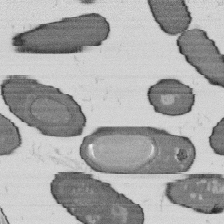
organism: B. subtilis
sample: Bacterial spore